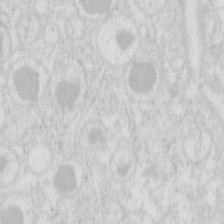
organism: Mouse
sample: Pancreas